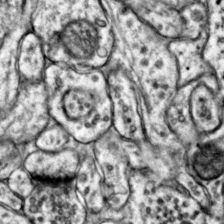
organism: Mouse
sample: Primary visual cortex